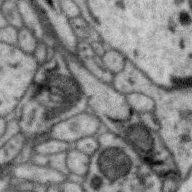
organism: Zebra finch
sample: Brain